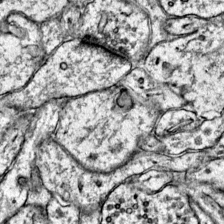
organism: Mouse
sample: Primary visual cortex